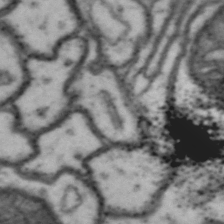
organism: Drosophila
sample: Brain